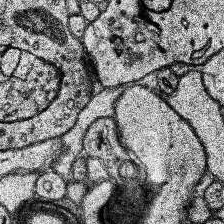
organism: Human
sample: Temporal Lobe